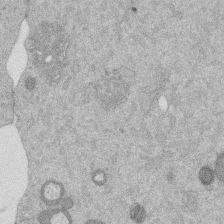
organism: Mouse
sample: Dividing mouse embryo 1 cell stage